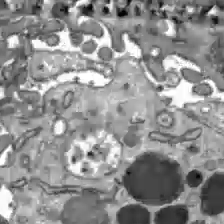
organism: C57BL Mouse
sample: Liver